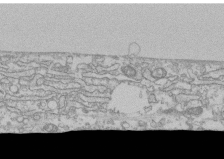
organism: Human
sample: CRL-1474